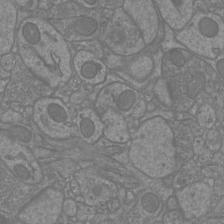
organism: Mouse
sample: Cortical neurons